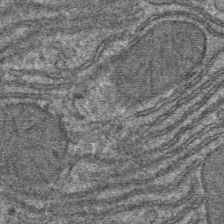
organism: Mouse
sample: Mouse hepatocytes